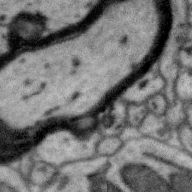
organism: Zebra finch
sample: Brain